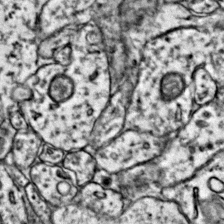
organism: Mouse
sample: Primary visual cortex